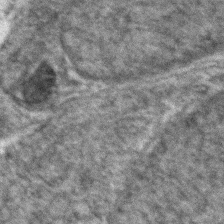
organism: Zebrafish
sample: Zebrafish embryo